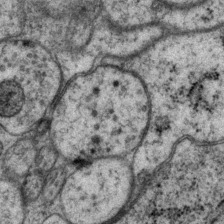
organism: P. pacificus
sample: Pharynx